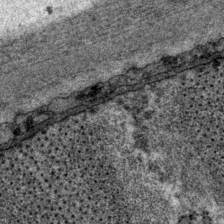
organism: P. pacificus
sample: Pharynx